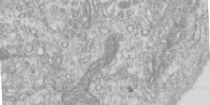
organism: Human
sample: Centriole in RPE cells